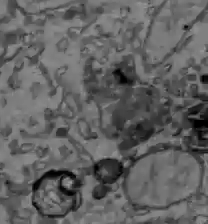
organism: C57BL Mouse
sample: Liver